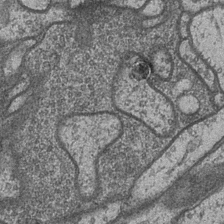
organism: Drosophila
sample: Optic medulla